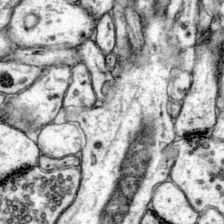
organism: Mouse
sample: Primary visual cortex